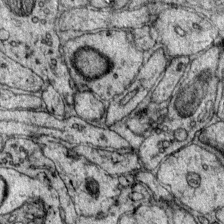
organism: Mouse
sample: Primary visual cortex